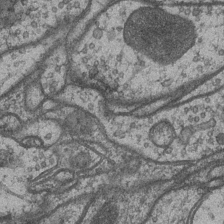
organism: Drosophila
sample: Optic medulla